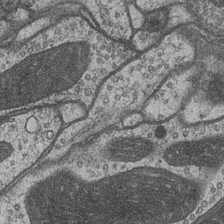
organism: Drosophila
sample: Optic medulla